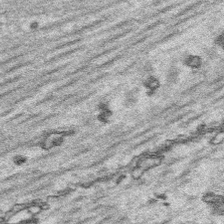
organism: Platynereis dumerilii